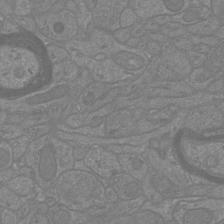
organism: Mouse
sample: Cortical neurons